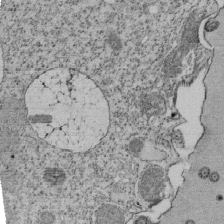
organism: Tetrahymena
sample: Cilia in tetrahymena